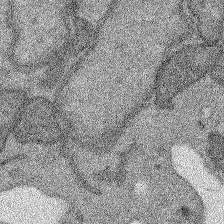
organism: Human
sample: HeLa cells